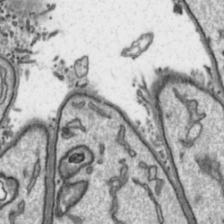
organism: Toxoplasma gondii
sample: Parasites in a vacuole inside a host cell